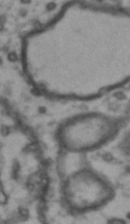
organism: Drosophila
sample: Brain